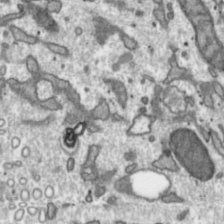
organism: Toxoplasma gondii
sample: Parasites in a vacuole inside a host cell